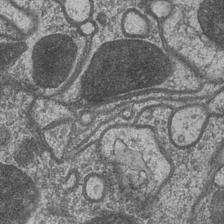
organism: Drosophila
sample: Optic medulla